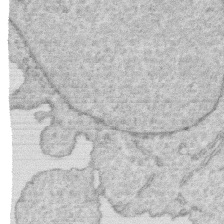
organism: Human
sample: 1205lu cells